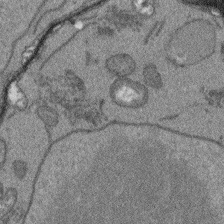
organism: Arabidopsis thaliana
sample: Root tip